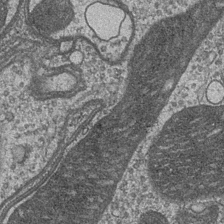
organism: Drosophila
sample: Optic medulla